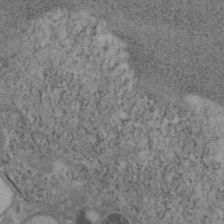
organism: Mouse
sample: OT-I killer T cells with ID8 ovarian cancer cells